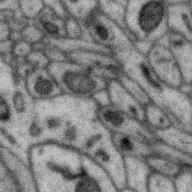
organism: Zebra finch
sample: Brain